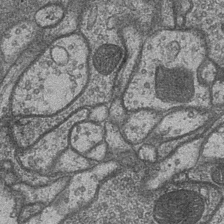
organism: Drosophila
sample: Optic medulla